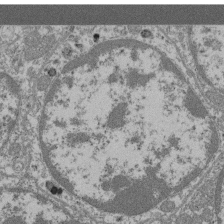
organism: Mouse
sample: Glomerulus